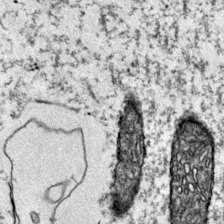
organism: Mouse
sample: Primary visual cortex